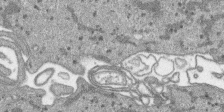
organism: Human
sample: Lung epithelial cells infected with SARS-CoV-2